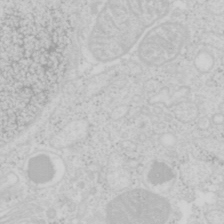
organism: Mouse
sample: Pancreas